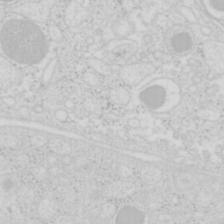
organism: Mouse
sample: Pancreas